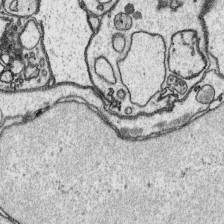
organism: Platynereis dumerilii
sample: Parapodia